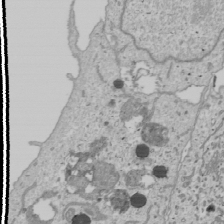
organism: Human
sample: Mitochondria in U2OS cells